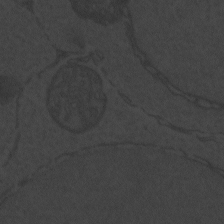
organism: Zebrafish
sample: Macrophage infected with Toxoplasma gondii